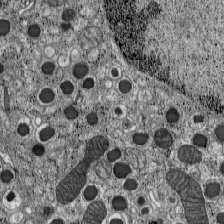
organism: C57BL Mouse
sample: Pancreatic islet